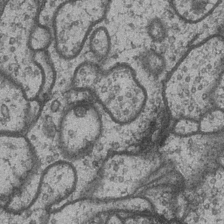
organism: Drosophila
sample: Optic medulla